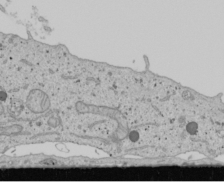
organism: Human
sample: Mitochondria in U2OS cells